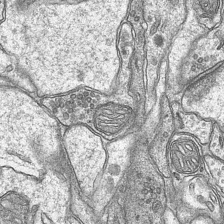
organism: Mouse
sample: CA1 Hippocampus